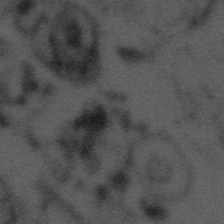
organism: Tuwongella immobilis